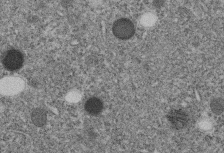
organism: C. elegans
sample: C. elegans embryo early stage